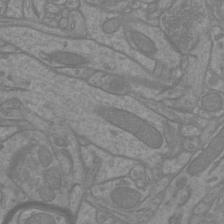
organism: Mouse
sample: Cortical neurons